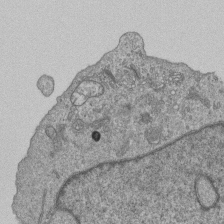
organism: Human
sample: MDA-MB-231 cells